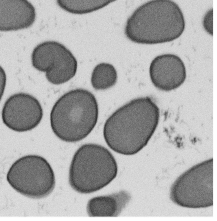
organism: B. subtilis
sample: Bacterial spore